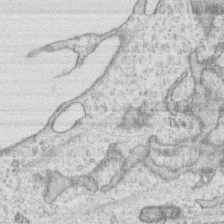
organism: Human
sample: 1205lu cells